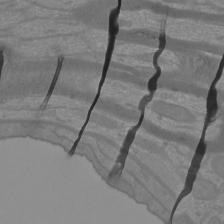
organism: Mouse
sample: Cortical neurons